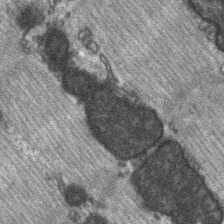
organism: C57BL Mouse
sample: Soleus